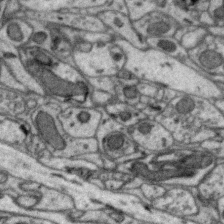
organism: Zebra finch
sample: Brain